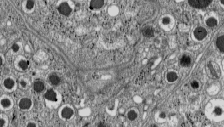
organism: C57BL Mouse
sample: Pancreatic islet